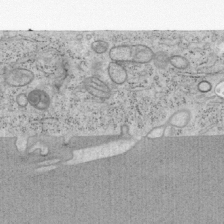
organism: Human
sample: HeLa cells